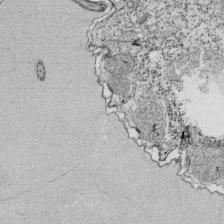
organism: Tetrahymena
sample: Cilia in tetrahymena